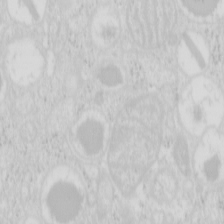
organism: Mouse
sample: Pancreas